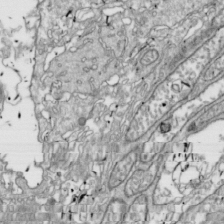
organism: Drosophila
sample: Cell division; meiosis; drosophila spermatocytes